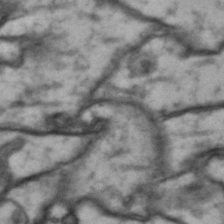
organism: Drosophila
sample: Brain